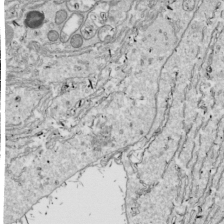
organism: Drosophila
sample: Cell division; meiosis; drosophila spermatocytes